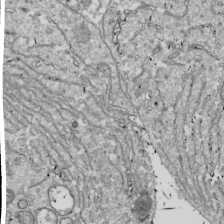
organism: Drosophila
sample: Cell division; meiosis; drosophila spermatocytes